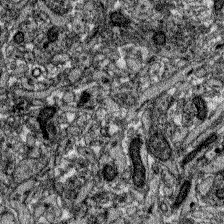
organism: Zebrafish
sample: Larval olfactory bulb